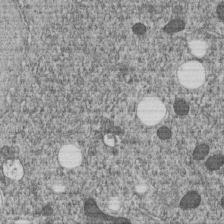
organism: C. elegans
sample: C. elegans embryo early stage